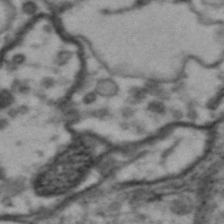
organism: Drosophila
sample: Brain